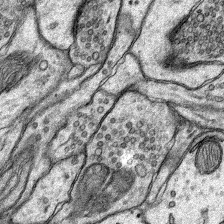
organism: Rat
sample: Hippocampus